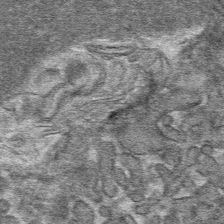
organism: Mouse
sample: Mouse hepatocytes